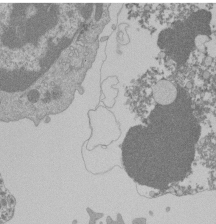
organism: Mouse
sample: Activated Pmel transgenic CD8+ T Cells